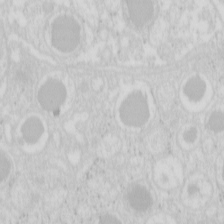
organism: Mouse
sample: Pancreas